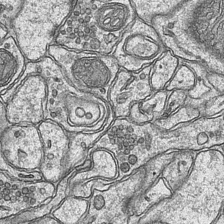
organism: Mouse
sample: CA1 Hippocampus